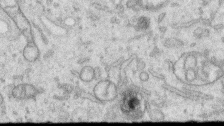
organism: Human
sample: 1205lu cells